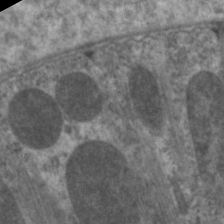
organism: C. elegans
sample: Pharynx